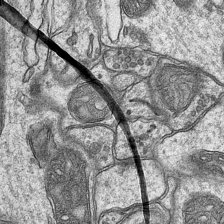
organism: Mouse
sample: CA1 Hippocampus